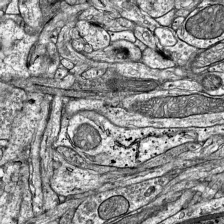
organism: Mouse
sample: Visual Cortex